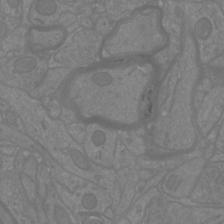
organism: Mouse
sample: Cortical neurons